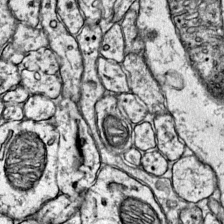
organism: Mouse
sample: Primary visual cortex